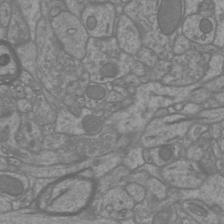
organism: Mouse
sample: Cortical neurons